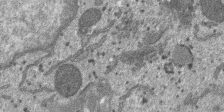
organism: Human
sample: Lung epithelial cells infected with SARS-CoV-2